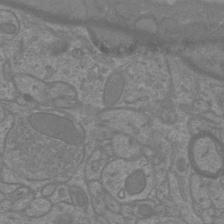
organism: Mouse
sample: Cortical neurons